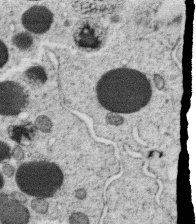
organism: C. elegans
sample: C. elegans oocyte; sperm cells